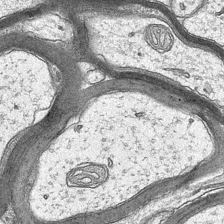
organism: Mouse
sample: CA1 Hippocampus